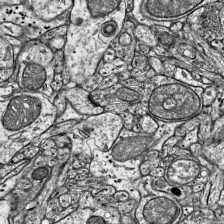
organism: Mouse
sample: Visual Cortex